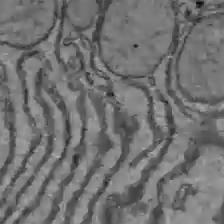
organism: C57BL Mouse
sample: Liver